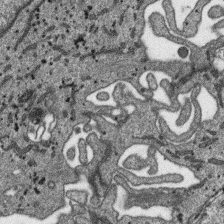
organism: Human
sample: Lung epithelial cells infected with SARS-CoV-2